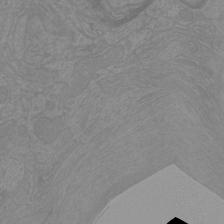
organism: Mouse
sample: Cortical neurons